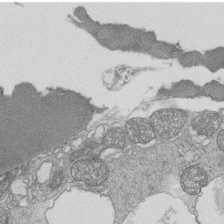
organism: Tetrahymena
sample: Cilia in tetrahymena